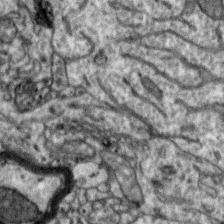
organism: Zebra finch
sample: Brain